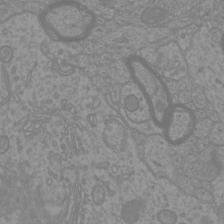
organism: Mouse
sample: Cortical neurons